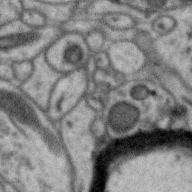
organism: Zebra finch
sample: Brain